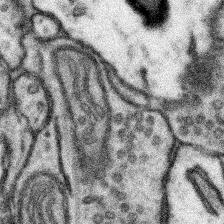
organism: Mouse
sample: Somatosensory cortex neuropil